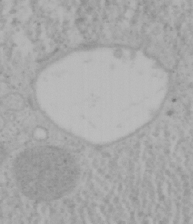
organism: Mouse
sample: OT-I killer T cells with ID8 ovarian cancer cells